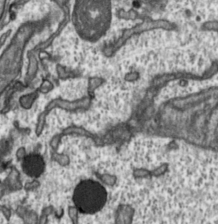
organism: Toxoplasma gondii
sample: Parasites in a vacuole inside a host cell